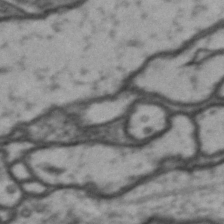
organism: Drosophila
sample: Brain